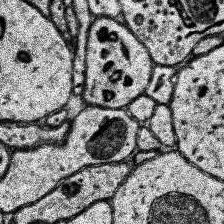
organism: Human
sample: Temporal Lobe